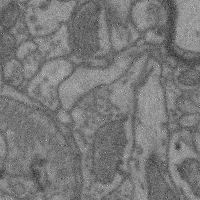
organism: Mouse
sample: Cerebral cortex